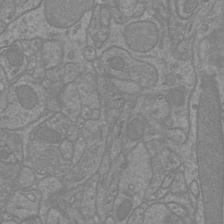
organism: Mouse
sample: Cortical neurons